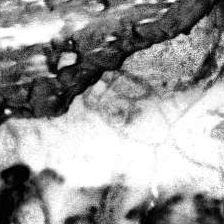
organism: Human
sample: Temporal Lobe